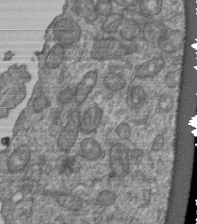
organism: Human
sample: Retinal organoid Rod and Cone cells